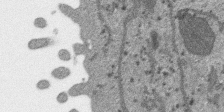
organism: Human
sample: Lung epithelial cells infected with SARS-CoV-2